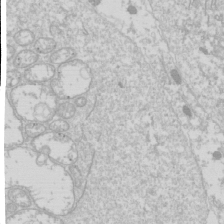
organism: Drosophila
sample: Cell division; meiosis; drosophila spermatocytes